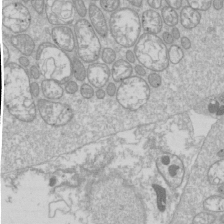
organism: Drosophila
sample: Cell division; meiosis; drosophila spermatocytes